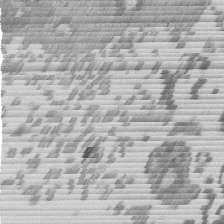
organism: Mouse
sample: Dividing mouse embryo 1 cell stage